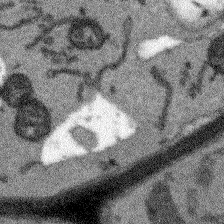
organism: Arabidopsis thaliana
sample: Root tip